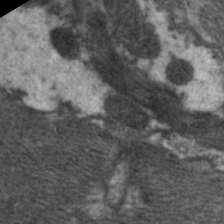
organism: C. elegans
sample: Pharynx